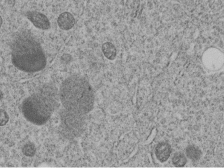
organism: C. elegans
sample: C. elegans embryo early stage